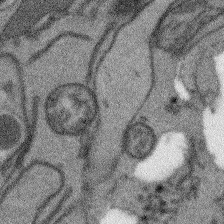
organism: Arabidopsis thaliana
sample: Root tip